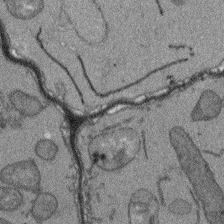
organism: Arabidopsis thaliana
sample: Root tip